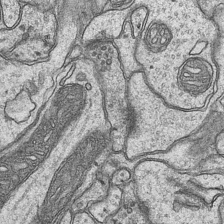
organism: Mouse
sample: CA1 Hippocampus